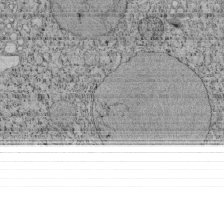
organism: Tetrahymena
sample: Cilia in tetrahymena